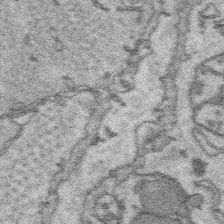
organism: Platynereis dumerilii